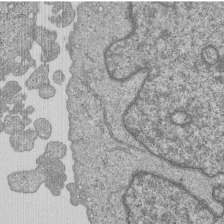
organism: Human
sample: MDA-MB-231 cells